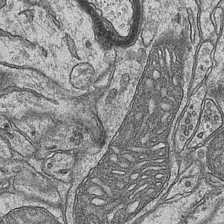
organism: Mouse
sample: CA1 Hippocampus